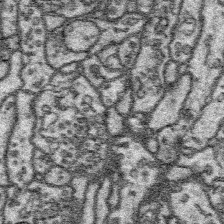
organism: Platynereis dumerilii